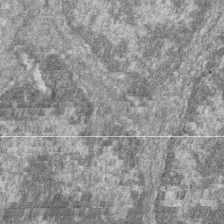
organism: Zebrafish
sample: Cilia; retinal pigment epithelium